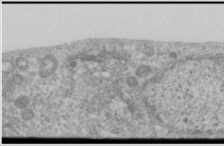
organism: Human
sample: Cilia; basal body in RPE cells